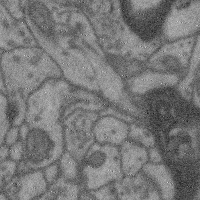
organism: Mouse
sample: Cerebral cortex